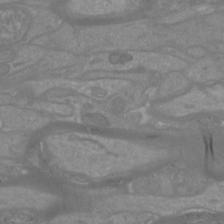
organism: Mouse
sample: Cortical neurons